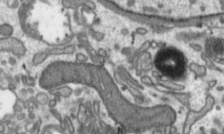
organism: Toxoplasma gondii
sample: Parasites in a vacuole inside a host cell